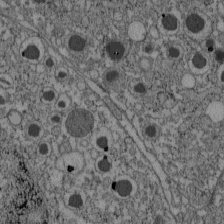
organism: C57BL Mouse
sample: Pancreatic islet